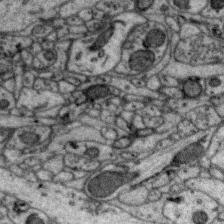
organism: Zebra finch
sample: Brain